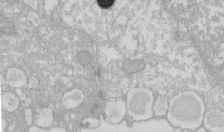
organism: Xenopus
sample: Cilia; centrioles in frog embryo cells